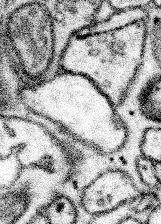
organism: Mouse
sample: Somatosensory cortex neuropil